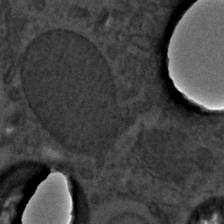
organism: C. elegans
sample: C. elegans embryo